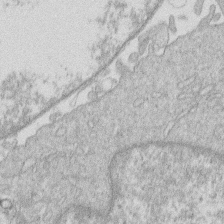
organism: Human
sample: Macrophage cells